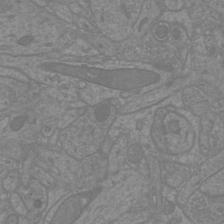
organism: Mouse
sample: Cortical neurons